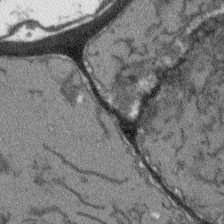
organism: Arabidopsis thaliana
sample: Root tip